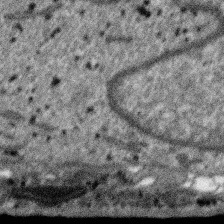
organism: Human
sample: Lung epithelial cells infected with SARS-CoV-2